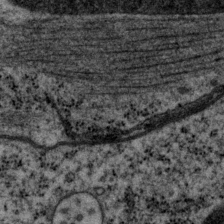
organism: P. pacificus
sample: Pharynx